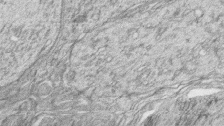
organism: Zebrafish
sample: synaptic ribbons in rod cells and cone cells